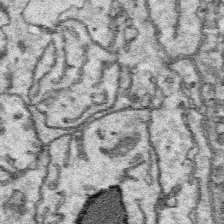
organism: Platynereis dumerilii